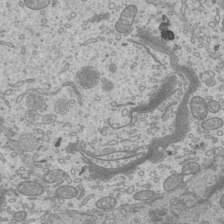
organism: Mouse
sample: Cilia; mouse epididymis